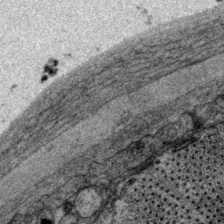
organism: P. pacificus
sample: Pharynx